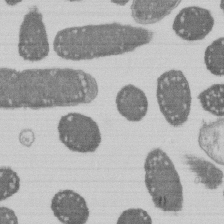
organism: E. coli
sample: Bacterial nucleoid